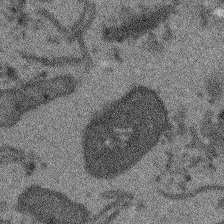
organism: Arabidopsis thaliana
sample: Root tip